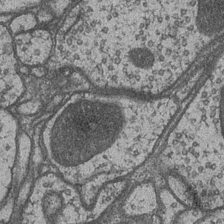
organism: Drosophila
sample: Optic medulla